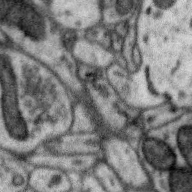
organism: Zebra finch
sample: Brain